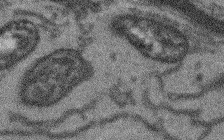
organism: Arabidopsis thaliana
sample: Root tip